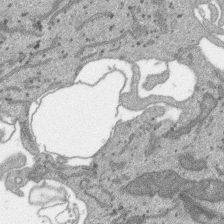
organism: Human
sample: Lung epithelial cells infected with SARS-CoV-2